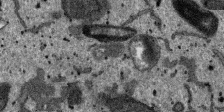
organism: Human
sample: Lung epithelial cells, uninfected (mock) control